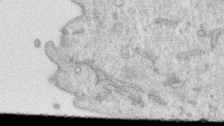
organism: Human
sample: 1205lu cells